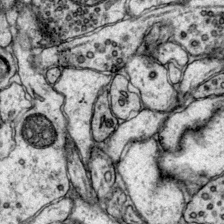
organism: Mouse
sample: Primary visual cortex